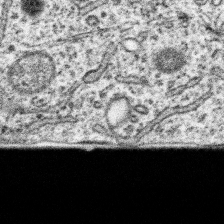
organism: Human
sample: HeLa cells